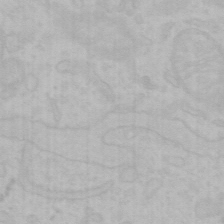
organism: Mouse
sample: Choroid plexus